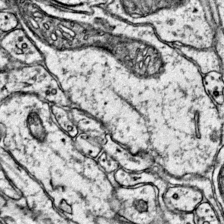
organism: Mouse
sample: Primary visual cortex